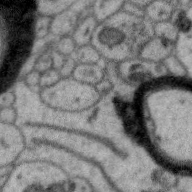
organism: Zebra finch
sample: Brain